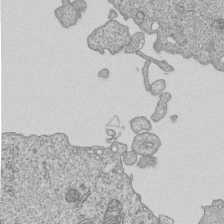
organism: Human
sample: MDA-MB-231 cells